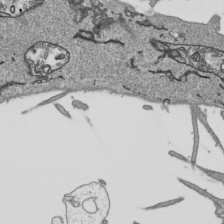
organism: Human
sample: Mitochondria in HCT116 cells